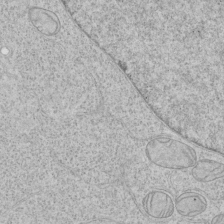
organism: Human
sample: Mitochondria in HCT116 cells